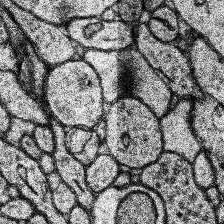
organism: Human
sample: Temporal Lobe